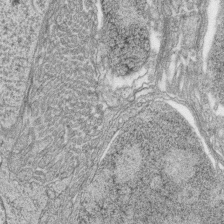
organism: Zebrafish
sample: synaptic ribbons in rod cells and cone cells